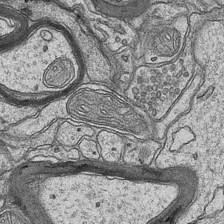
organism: Mouse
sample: CA1 Hippocampus